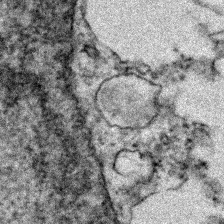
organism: Zebrafish